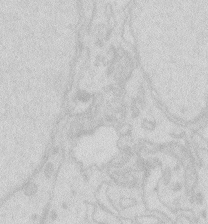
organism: Zebrafish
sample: Macrophage